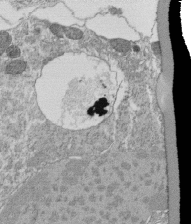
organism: Tetrahymena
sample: Cilia in tetrahymena